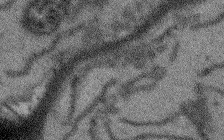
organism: Arabidopsis thaliana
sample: Root tip